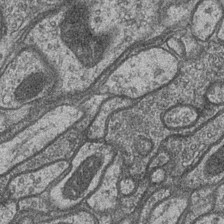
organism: Drosophila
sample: Optic medulla